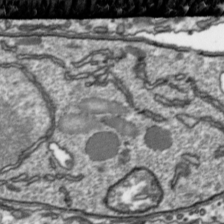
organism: Toxoplasma gondii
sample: Parasites in a vacuole inside a host cell